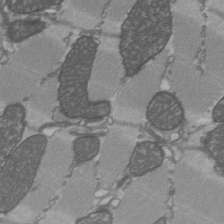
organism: C57BL Mouse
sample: Heart